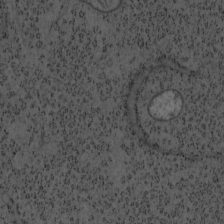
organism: Mouse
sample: OT-I killer T cells with ID8 ovarian cancer cells